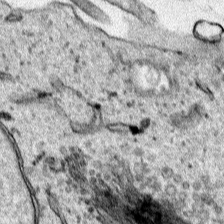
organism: Human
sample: Mitochondria in HCT116 cells